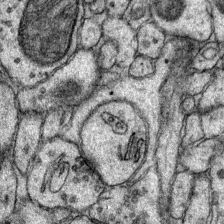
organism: Mouse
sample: Primary visual cortex